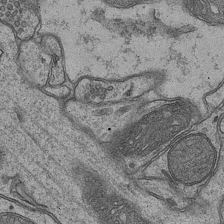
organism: Mouse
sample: CA1 Hippocampus